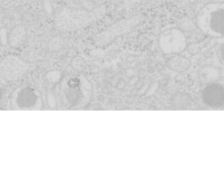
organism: Mouse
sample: Pancreas